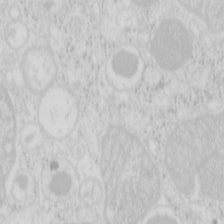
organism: Mouse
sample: Pancreas